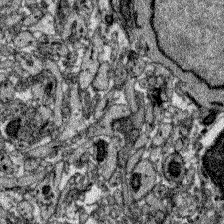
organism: Zebrafish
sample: Larval olfactory bulb